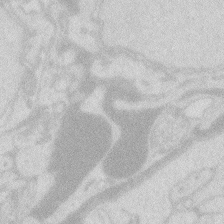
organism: Zebrafish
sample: Macrophage